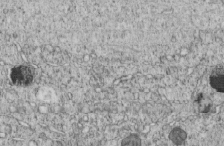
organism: C. elegans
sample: C. elegans embryo early stage